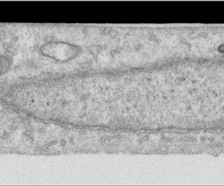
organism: Human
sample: Centriole in RPE cells